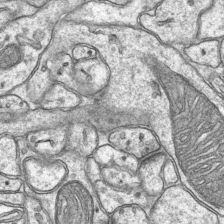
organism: Mouse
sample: CA1 Hippocampus